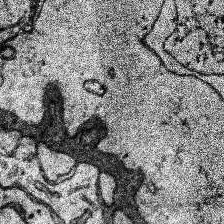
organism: Human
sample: Temporal Lobe